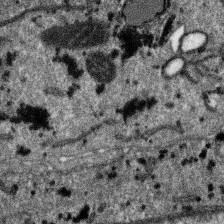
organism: Human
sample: Lung epithelial cells infected with SARS-CoV-2